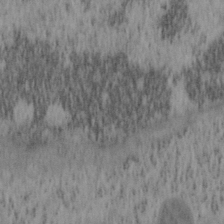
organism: Mouse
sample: OT-I killer T cells with ID8 ovarian cancer cells